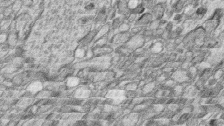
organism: Zebrafish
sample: synaptic ribbons in rod cells and cone cells